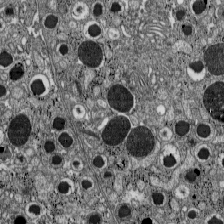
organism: C57BL Mouse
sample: Pancreatic islet